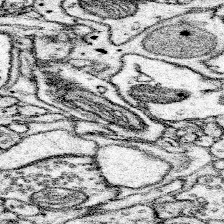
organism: Mouse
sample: Somatosensory cortex neuropil